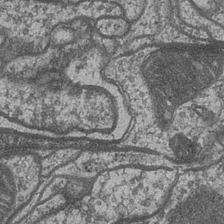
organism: Drosophila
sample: Optic medulla